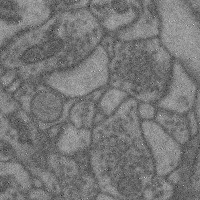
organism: Mouse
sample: Cerebral cortex